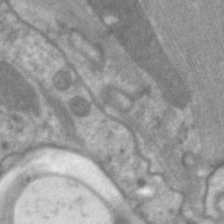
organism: C. elegans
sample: Pharynx